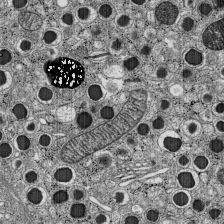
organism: C57BL Mouse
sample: Pancreatic islet